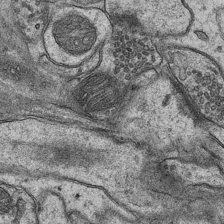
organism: Mouse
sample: CA1 Hippocampus